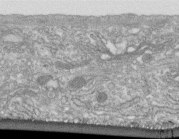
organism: Human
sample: Centriole in fibroblast cells